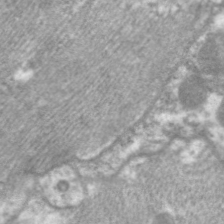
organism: C. elegans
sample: Pharynx